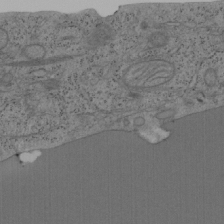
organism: Human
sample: HeLa cells